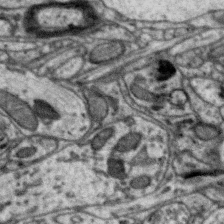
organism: Zebra finch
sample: Brain